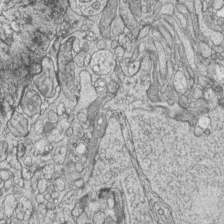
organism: Zebrafish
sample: synaptic ribbons in rod cells and cone cells